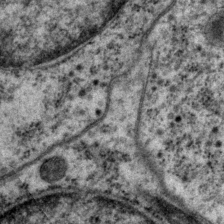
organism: P. pacificus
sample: Pharynx